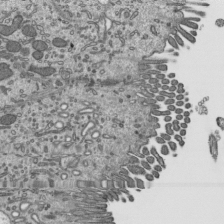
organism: Mouse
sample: Mouse epididymis efferent ductule cilia